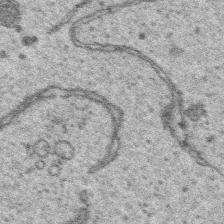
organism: Platynereis dumerilii